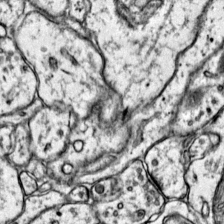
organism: Mouse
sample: Primary visual cortex